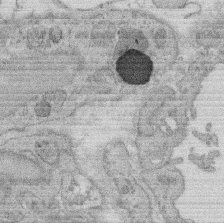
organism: Rat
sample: Salivary granule